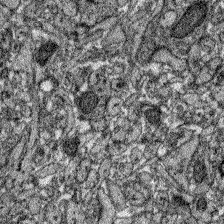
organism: Zebrafish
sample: Larval olfactory bulb